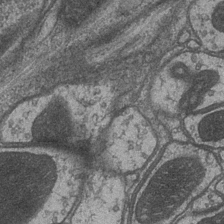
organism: Drosophila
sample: Optic medulla